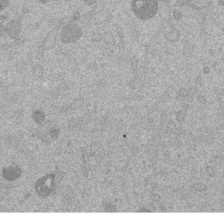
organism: Mouse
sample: Dividing mouse embryo 1 cell stage